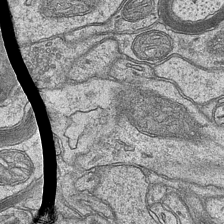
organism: Mouse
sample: CA1 Hippocampus